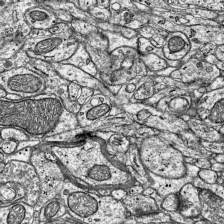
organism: Mouse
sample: Visual Cortex